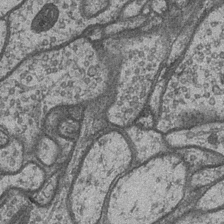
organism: Drosophila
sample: Optic medulla